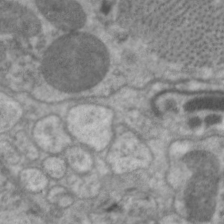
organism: C. elegans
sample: Pharynx